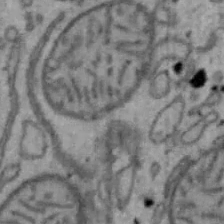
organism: Mouse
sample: Liver